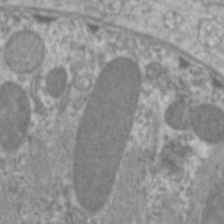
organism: C. elegans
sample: Pharynx